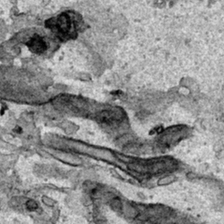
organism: Human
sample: Mitochondria in HCT116 cells